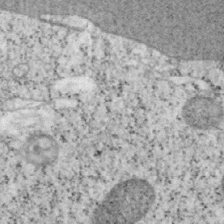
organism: Mouse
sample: OT-I killer T cells with ID8 ovarian cancer cells